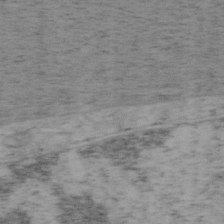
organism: Mouse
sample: OT-I killer T cells with ID8 ovarian cancer cells